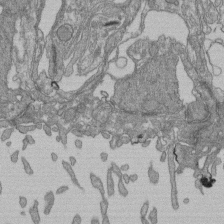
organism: Human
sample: Retinal organoid Rod and Cone cells